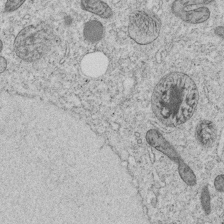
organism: C. elegans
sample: C. elegans embryo early stage